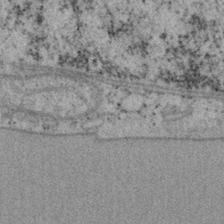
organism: Human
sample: HeLa cells